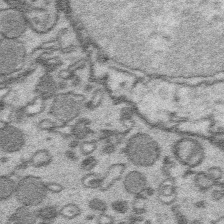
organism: Platynereis dumerilii